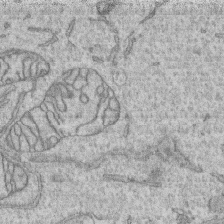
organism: Human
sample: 1205lu cells